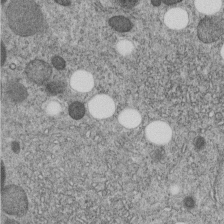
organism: C. elegans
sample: C. elegans embryo early stage